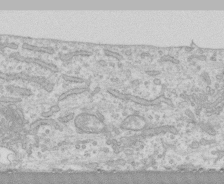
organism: Human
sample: CRL-1474